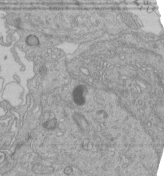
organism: Human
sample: Retinal organoid Rod and Cone cells